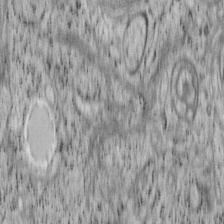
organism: Human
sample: HeLa cells